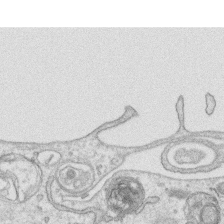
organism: Human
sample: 1205lu cells